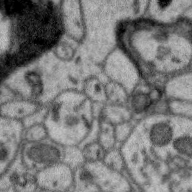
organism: Zebra finch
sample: Brain